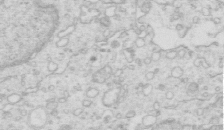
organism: Mouse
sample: Multiciliated cells